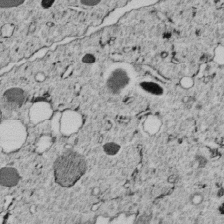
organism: C. elegans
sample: C. elegans embryo early stage